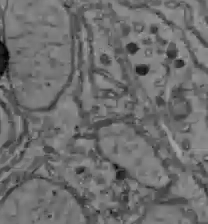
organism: C57BL Mouse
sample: Liver